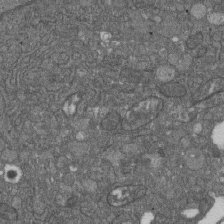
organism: Drosophila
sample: Nephrocyte